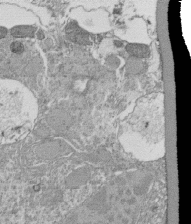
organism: Tetrahymena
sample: Cilia in tetrahymena